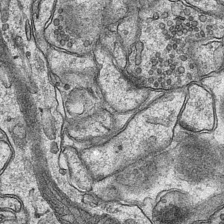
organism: Mouse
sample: CA1 Hippocampus